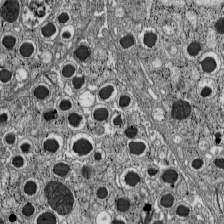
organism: C57BL Mouse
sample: Pancreatic islet